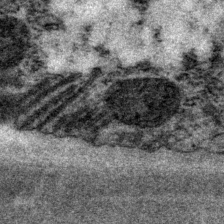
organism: P. pacificus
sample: Pharynx